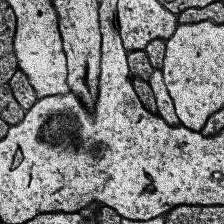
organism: Human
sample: Temporal Lobe